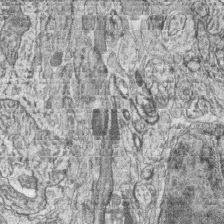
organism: Zebrafish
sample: synaptic ribbons in rod cells and cone cells